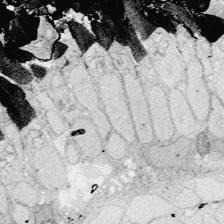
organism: Zebrafish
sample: Whole-Brain